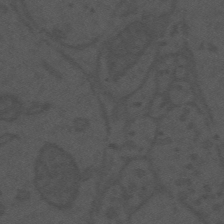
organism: Mouse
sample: Suprachiasmatic nucleus